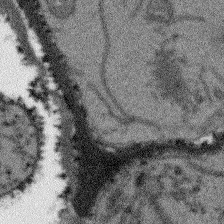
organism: Arabidopsis thaliana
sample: Root tip